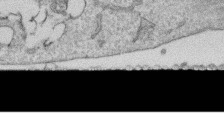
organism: Human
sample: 1205lu cells